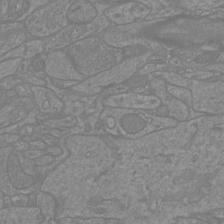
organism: Mouse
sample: Cortical neurons